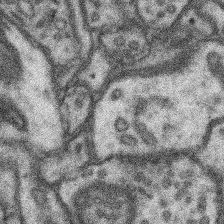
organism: Mouse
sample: Somatosensory cortex neuropil